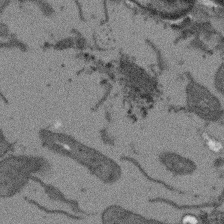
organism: Arabidopsis thaliana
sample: Root tip